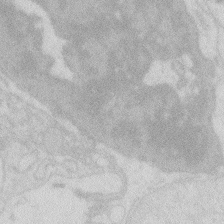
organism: Zebrafish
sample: Macrophage